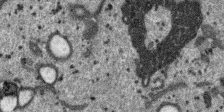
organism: Human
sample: Lung epithelial cells infected with SARS-CoV-2